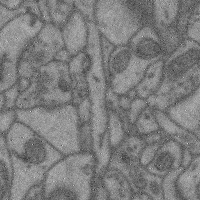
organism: Mouse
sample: Cerebral cortex